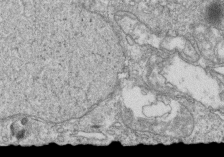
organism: Human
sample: HeLa cell HIV synapse